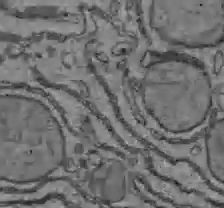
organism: C57BL Mouse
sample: Liver